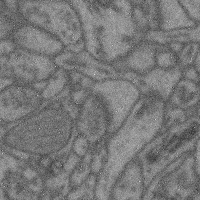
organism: Mouse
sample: Cerebral cortex